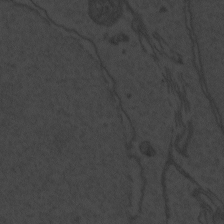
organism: Zebrafish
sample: Macrophage infected with Toxoplasma gondii